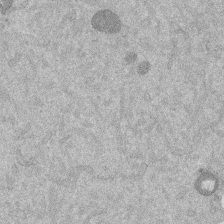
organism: Mouse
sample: Dividing mouse embryo 1 cell stage